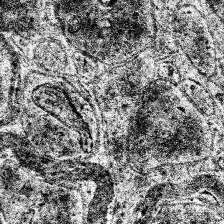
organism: Human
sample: Temporal Lobe